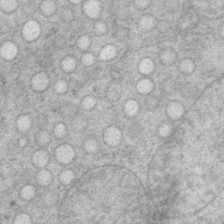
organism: P. pacificus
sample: Pharynx